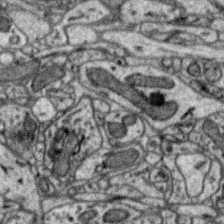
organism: Zebra finch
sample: Brain